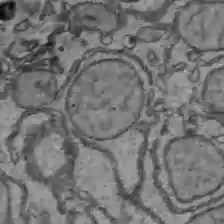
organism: C57BL Mouse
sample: Liver